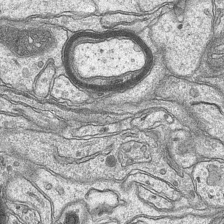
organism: Mouse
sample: CA1 Hippocampus